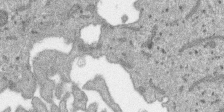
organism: Human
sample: Lung epithelial cells infected with SARS-CoV-2